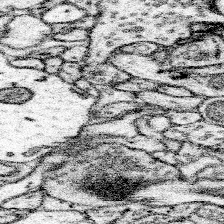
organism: Mouse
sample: Somatosensory cortex neuropil